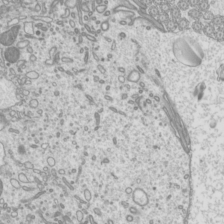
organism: Mouse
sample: Cilia; mouse epididymis